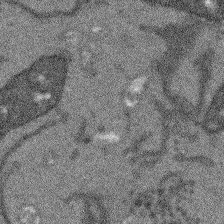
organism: Arabidopsis thaliana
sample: Root tip